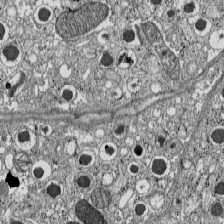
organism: C57BL Mouse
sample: Pancreatic islet